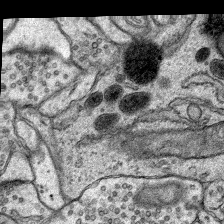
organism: Rat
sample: Hippocampus